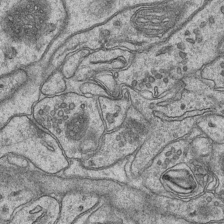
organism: Mouse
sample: CA1 Hippocampus